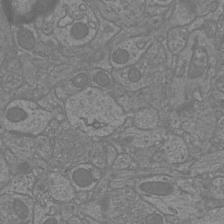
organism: Mouse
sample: Cortical neurons